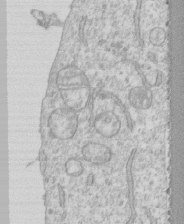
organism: Human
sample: CRL-1474